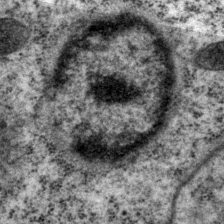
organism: P. pacificus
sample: Pharynx